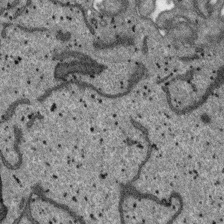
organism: Human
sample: Lung epithelial cells, uninfected (mock) control